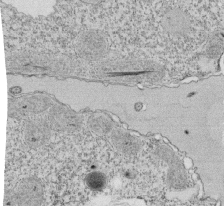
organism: Tetrahymena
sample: Cilia in tetrahymena